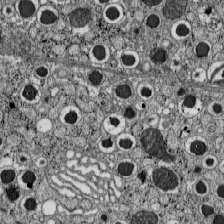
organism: C57BL Mouse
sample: Pancreatic islet